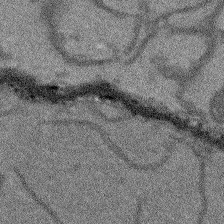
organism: Arabidopsis thaliana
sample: Root tip